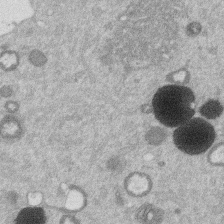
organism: Mouse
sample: Dividing mouse embryo 1 cell stage